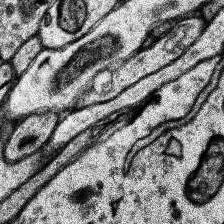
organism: Human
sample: Temporal Lobe